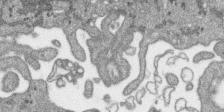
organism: Human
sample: Lung epithelial cells infected with SARS-CoV-2